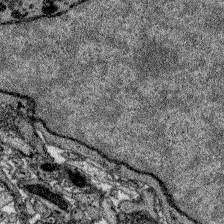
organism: Zebrafish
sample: Larval olfactory bulb